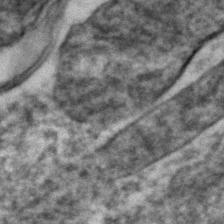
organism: Zebrafish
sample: Zebrafish embryo